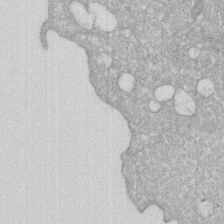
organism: Human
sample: HIV infected U937 cells